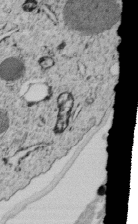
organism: C. elegans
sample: C. elegans embryo early stage